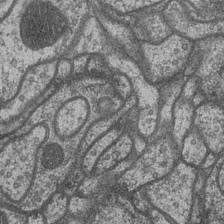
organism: Drosophila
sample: Optic medulla